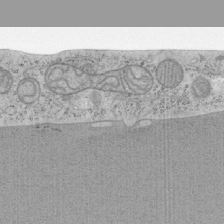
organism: Human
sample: HeLa cells